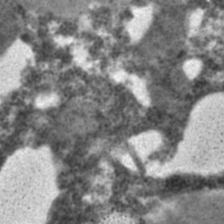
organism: C. elegans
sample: C. elegans embryo